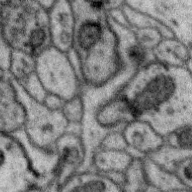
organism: Zebra finch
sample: Brain